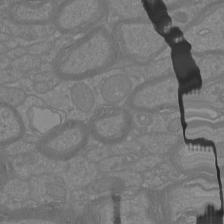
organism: Mouse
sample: Cortical neurons